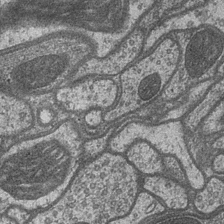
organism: Drosophila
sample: Optic medulla